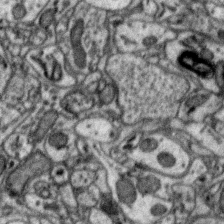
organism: Zebra finch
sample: Brain